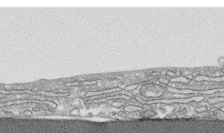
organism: Human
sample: CRL-1474